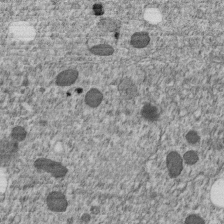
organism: C. elegans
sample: C. elegans embryo early stage